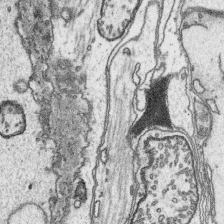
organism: Platynereis dumerilii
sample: Parapodia